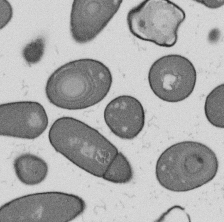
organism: B. subtilis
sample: Bacterial spore